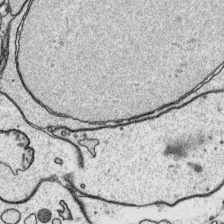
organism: Platynereis dumerilii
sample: Parapodia